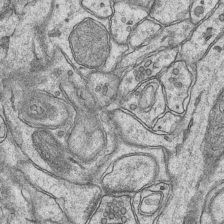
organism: Mouse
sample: CA1 Hippocampus